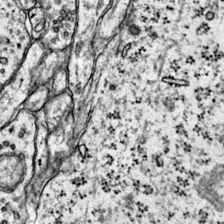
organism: Mouse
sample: Primary visual cortex